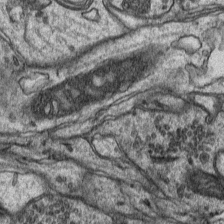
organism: Mouse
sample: CA1 Hippocampus